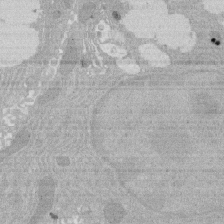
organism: Rat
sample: Salivary granule